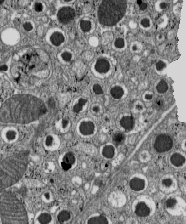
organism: C57BL Mouse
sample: Pancreatic islet